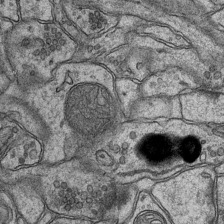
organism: Mouse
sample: CA1 Hippocampus